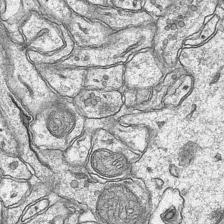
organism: Mouse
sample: CA1 Hippocampus